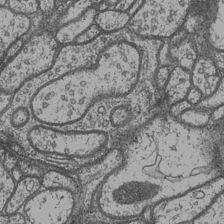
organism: Drosophila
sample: Optic medulla